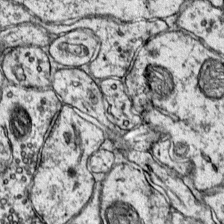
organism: Mouse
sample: Primary visual cortex